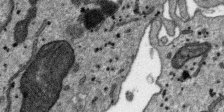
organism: Human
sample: Lung epithelial cells, uninfected (mock) control